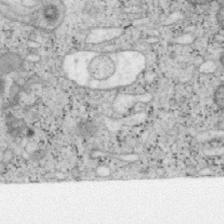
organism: Mouse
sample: OT-I killer T cells with ID8 ovarian cancer cells